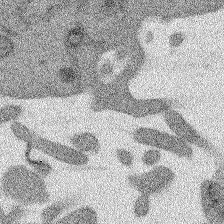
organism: Human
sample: HeLa cells